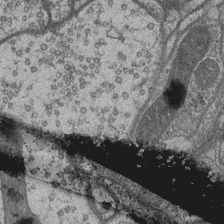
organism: Drosophila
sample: Optic medulla